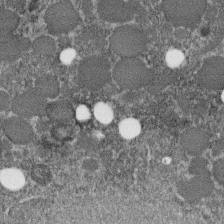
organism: C. elegans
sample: C. elegans embryo early stage